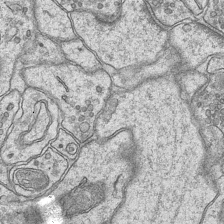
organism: Mouse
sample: CA1 Hippocampus